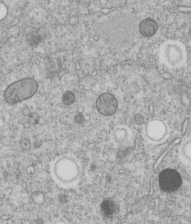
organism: C. elegans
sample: C. elegans embryo early stage